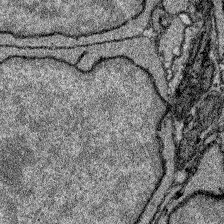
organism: Zebrafish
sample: Larval olfactory bulb